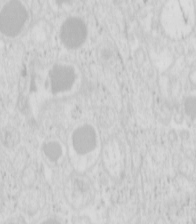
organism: Mouse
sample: Pancreas